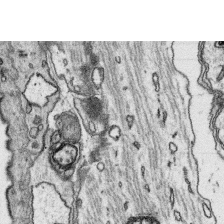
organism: Platynereis dumerilii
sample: Parapodia